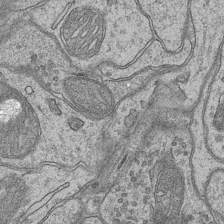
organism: Mouse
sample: CA1 Hippocampus